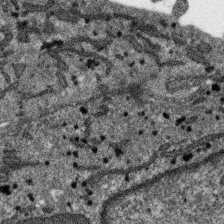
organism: Human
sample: Lung epithelial cells infected with SARS-CoV-2